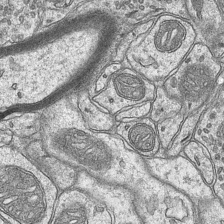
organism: Mouse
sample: CA1 Hippocampus